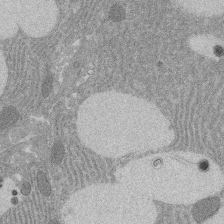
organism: Rat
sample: Salivary granule